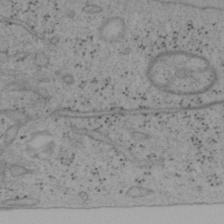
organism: Human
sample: HeLa cells